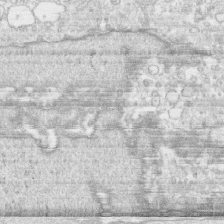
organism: Human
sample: CRL-1474